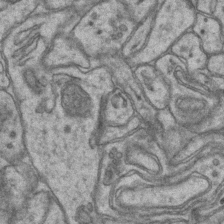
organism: Mouse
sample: CA1 Hippocampus